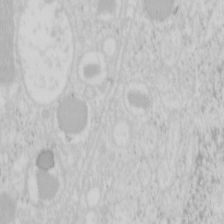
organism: Mouse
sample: Pancreas